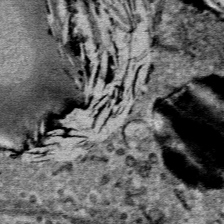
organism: Mouse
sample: Mouse Salivary gland